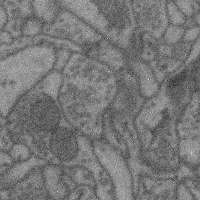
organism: Mouse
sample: Cerebral cortex